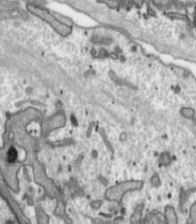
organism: Toxoplasma gondii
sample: Parasites in a vacuole inside a host cell